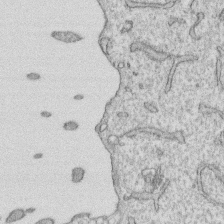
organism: Human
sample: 1205lu cells